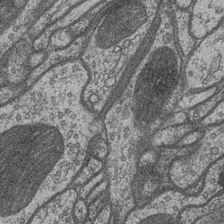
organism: Drosophila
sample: Optic medulla